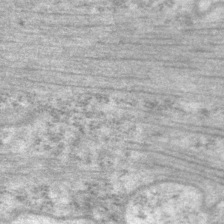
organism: P. pacificus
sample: Pharynx